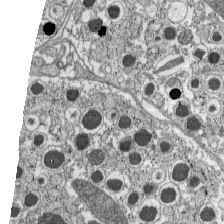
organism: C57BL Mouse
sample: Pancreatic islet